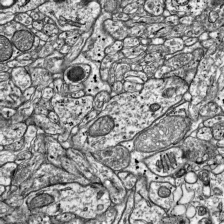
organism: Mouse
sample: Visual Cortex